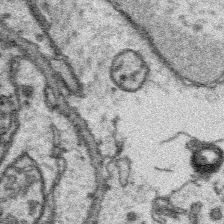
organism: Platynereis dumerilii